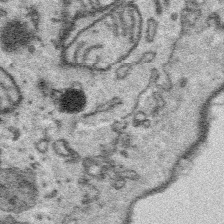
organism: Platynereis dumerilii